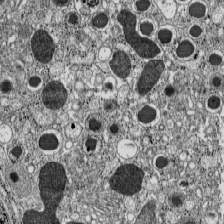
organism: C57BL Mouse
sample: Pancreatic islet